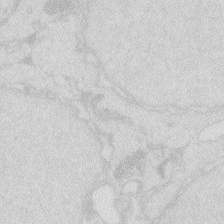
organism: Zebrafish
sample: Macrophage